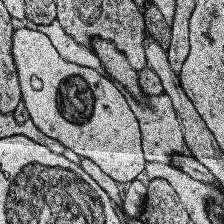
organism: Human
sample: Temporal Lobe